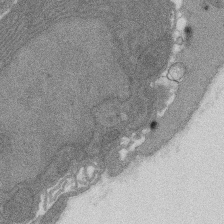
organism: Rat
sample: Salivary granule